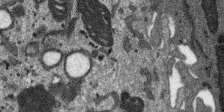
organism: Human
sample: Lung epithelial cells infected with SARS-CoV-2